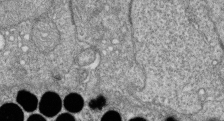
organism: Zebrafish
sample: Cilia; retinal pigment epithelium